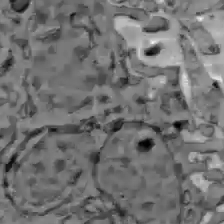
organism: C57BL Mouse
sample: Liver